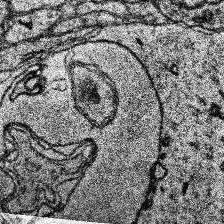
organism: Human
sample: Temporal Lobe